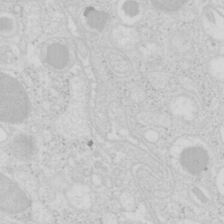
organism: Mouse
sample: Pancreas